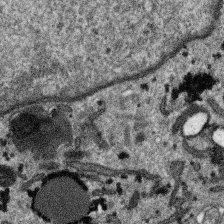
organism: Human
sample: Lung epithelial cells infected with SARS-CoV-2